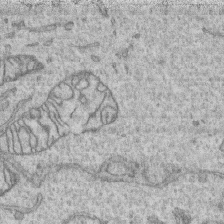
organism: Human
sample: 1205lu cells